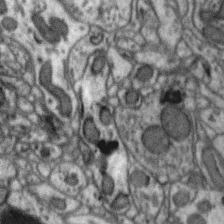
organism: Zebra finch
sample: Brain